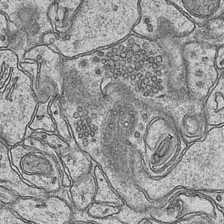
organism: Mouse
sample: CA1 Hippocampus